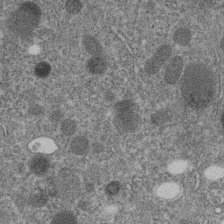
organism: C. elegans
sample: C. elegans embryo early stage